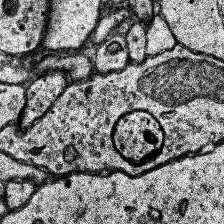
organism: Human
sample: Temporal Lobe